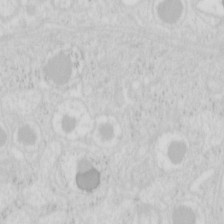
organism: Mouse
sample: Pancreas